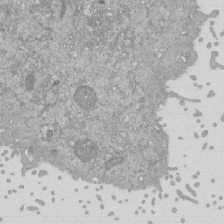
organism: Mouse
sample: ED-1 cell nuclei; centrioles